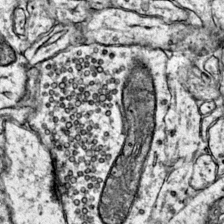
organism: Mouse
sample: Primary visual cortex